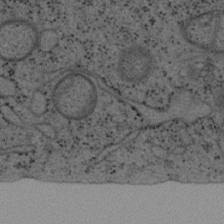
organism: Human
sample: HeLa cells